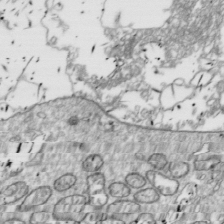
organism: Drosophila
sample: Cell division; meiosis; drosophila spermatocytes